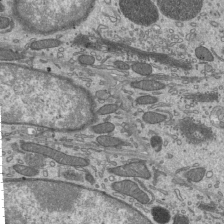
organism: Mouse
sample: Mouse epididymis efferent ductule cilia